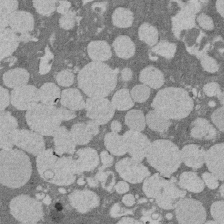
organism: Rat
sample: Salivary granule